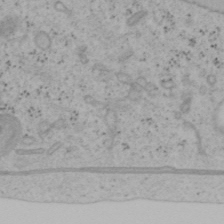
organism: Human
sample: HeLa cells